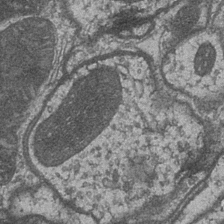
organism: Drosophila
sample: Optic medulla